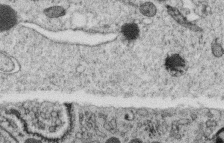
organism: C. elegans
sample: C. elegans oocyte; sperm cells